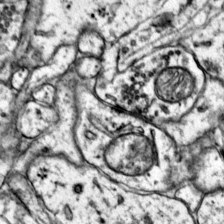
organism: Mouse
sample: Primary visual cortex